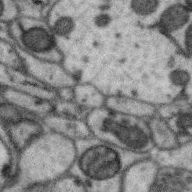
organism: Zebra finch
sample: Brain